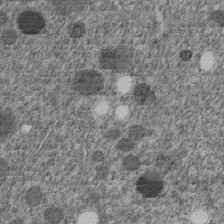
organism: C. elegans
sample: C. elegans embryo early stage